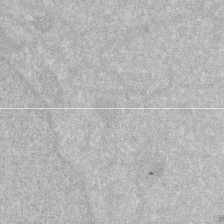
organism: Human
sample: HIV infected U937 cells